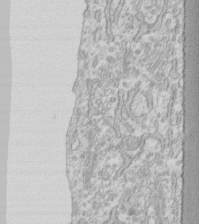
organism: Human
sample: Fibroblast cells